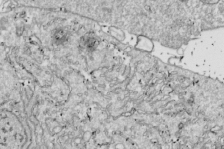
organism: Drosophila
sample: Cell division; meiosis; drosophila spermatocytes